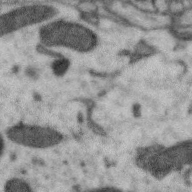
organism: Zebra finch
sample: Brain